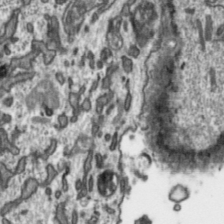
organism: Toxoplasma gondii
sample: Parasites in a vacuole inside a host cell